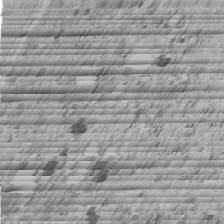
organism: C. elegans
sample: C. elegans embryo early stage